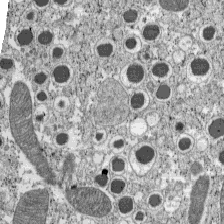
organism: C57BL Mouse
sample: Pancreatic islet